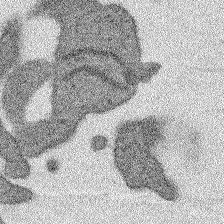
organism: Human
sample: HeLa cells